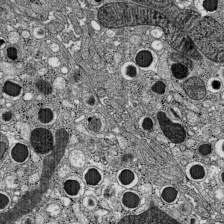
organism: C57BL Mouse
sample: Pancreatic islet